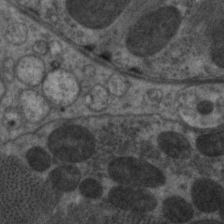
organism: C. elegans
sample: Pharynx